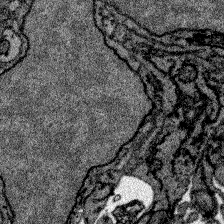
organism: Zebrafish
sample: Larval olfactory bulb